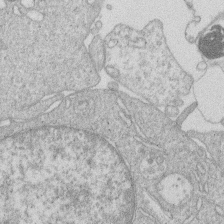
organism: Human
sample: Macrophage cells